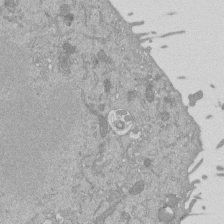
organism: Mouse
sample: ED-1 cell nuclei; centrioles